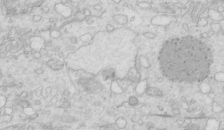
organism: Mouse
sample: Multiciliated cells